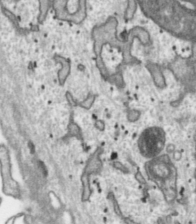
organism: Toxoplasma gondii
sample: Parasites in a vacuole inside a host cell